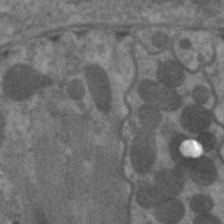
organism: C. elegans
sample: Pharynx